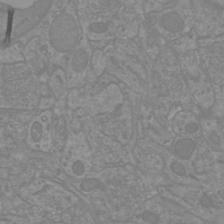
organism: Mouse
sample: Cortical neurons